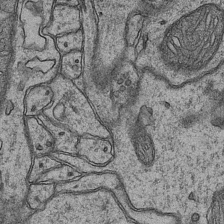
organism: Mouse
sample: CA1 Hippocampus